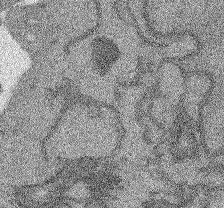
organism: Human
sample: HeLa cells